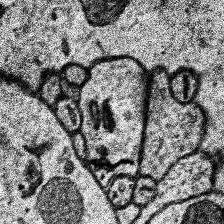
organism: Human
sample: Temporal Lobe